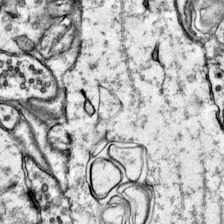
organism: Mouse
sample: Primary visual cortex